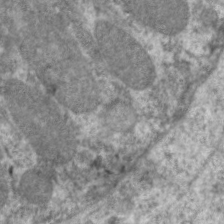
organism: C. elegans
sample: Pharynx